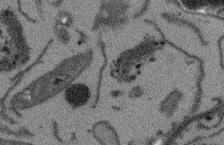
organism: Arabidopsis thaliana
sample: Root tip